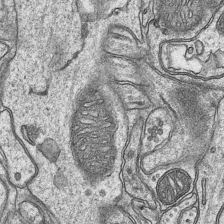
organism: Mouse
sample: CA1 Hippocampus